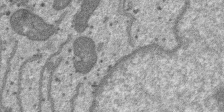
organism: Human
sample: Lung epithelial cells infected with SARS-CoV-2